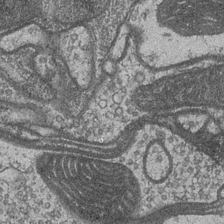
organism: Drosophila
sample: Optic medulla